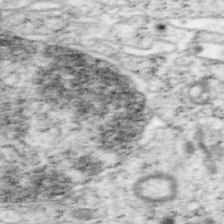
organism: Mouse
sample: OT-I killer T cells with ID8 ovarian cancer cells